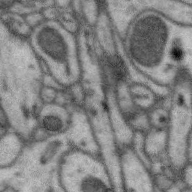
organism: Zebra finch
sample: Brain